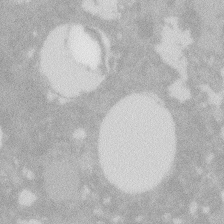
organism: Zebrafish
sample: Macrophage